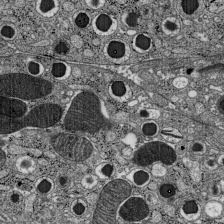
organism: C57BL Mouse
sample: Pancreatic islet